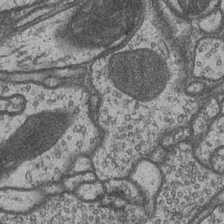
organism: Drosophila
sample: Optic medulla